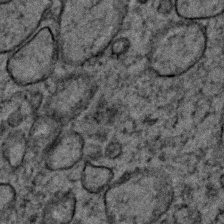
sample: Trachea